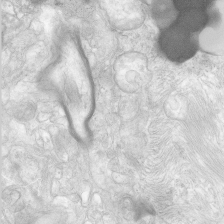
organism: Human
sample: Neocortex